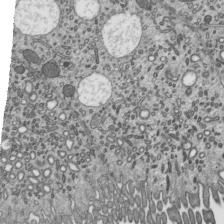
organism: Mouse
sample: Mouse epididymis efferent ductule cilia